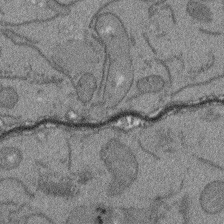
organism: Arabidopsis thaliana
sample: Root tip